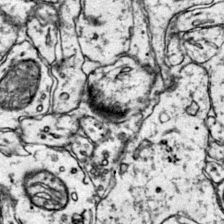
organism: Mouse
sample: Primary visual cortex